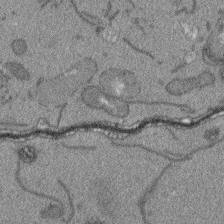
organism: Arabidopsis thaliana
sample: Root tip